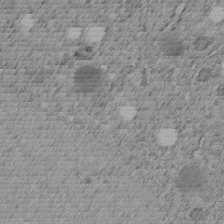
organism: C. elegans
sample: C. elegans embryo early stage